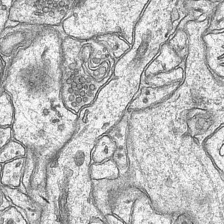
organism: Mouse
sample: CA1 Hippocampus